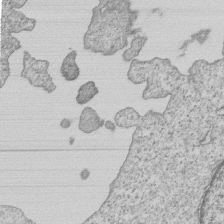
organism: Human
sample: MDA-MB-231 cells